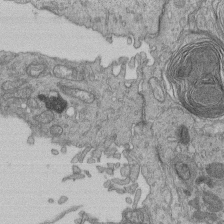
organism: Human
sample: Retinal organoid Rod and Cone cells